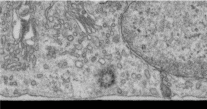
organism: Human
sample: Centriole in RPE cells